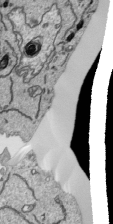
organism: Human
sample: Mitochondria in HCT116 cells